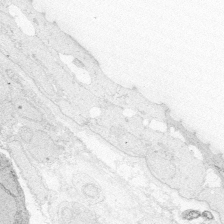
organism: Zebrafish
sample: Whole-Brain